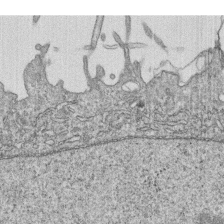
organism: Human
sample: HeLa cell HIV synapse